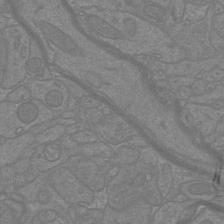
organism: Mouse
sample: Cortical neurons